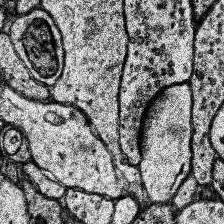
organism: Human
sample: Temporal Lobe